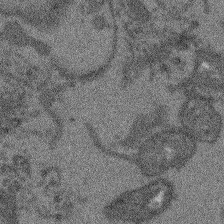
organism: Arabidopsis thaliana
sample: Root tip